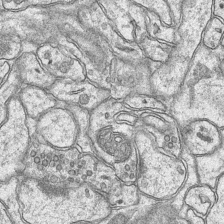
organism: Mouse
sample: CA1 Hippocampus